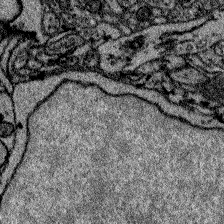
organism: Zebrafish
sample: Larval olfactory bulb